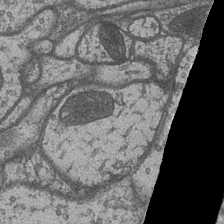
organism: Drosophila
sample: Optic medulla